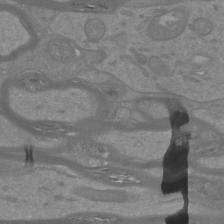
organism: Mouse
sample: Cortical neurons